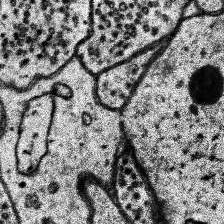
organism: Human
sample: Temporal Lobe